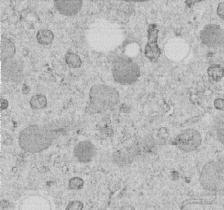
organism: C. elegans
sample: C. elegans embryo early stage